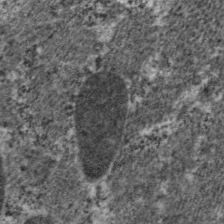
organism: C. elegans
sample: Pharynx